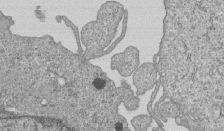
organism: Human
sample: MDA-MB-231 cells